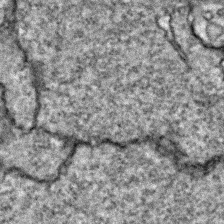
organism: Zebrafish